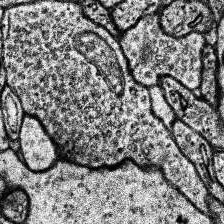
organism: Human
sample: Temporal Lobe